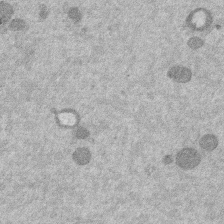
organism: Mouse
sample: Dividing mouse embryo 1 cell stage